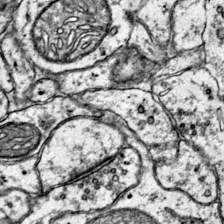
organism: Mouse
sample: Primary visual cortex